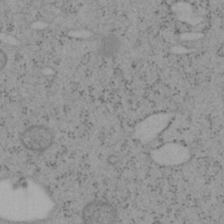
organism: Mouse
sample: OT-I killer T cells with ID8 ovarian cancer cells